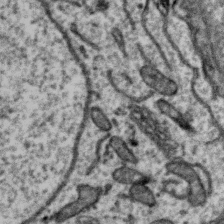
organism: Zebra finch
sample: Brain